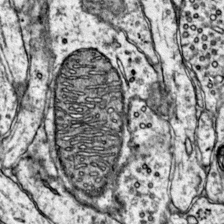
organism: Mouse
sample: Primary visual cortex